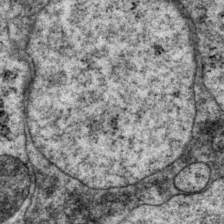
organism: P. pacificus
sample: Pharynx